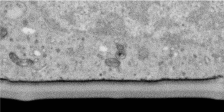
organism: Human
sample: Centriole in RPE cells